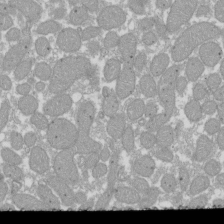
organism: Xenopus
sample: Cilia; centrioles in frog embryo cells